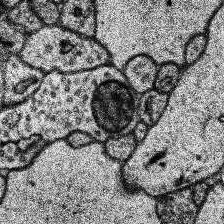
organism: Human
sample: Temporal Lobe